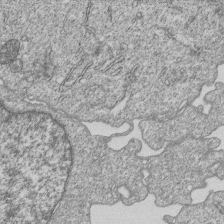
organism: Human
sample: MDA-MB-231 cells